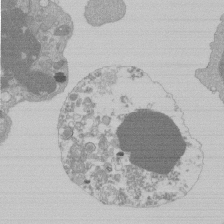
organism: Mouse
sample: Activated Pmel transgenic CD8+ T Cells